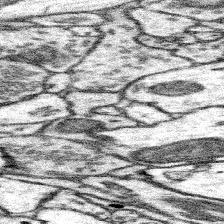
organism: Mouse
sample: Somatosensory cortex neuropil